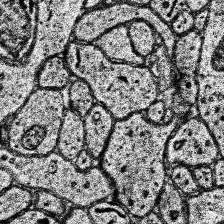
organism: Human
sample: Temporal Lobe